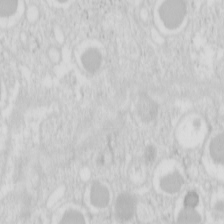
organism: Mouse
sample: Pancreas